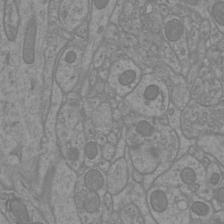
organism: Mouse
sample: Cortical neurons